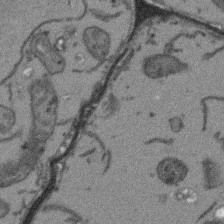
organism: Arabidopsis thaliana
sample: Root tip